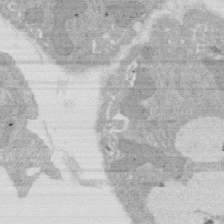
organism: Rat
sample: Salivary granule